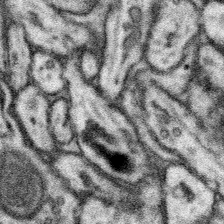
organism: Mouse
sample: Somatosensory cortex neuropil